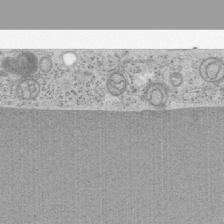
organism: Human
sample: HeLa cells